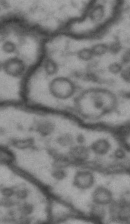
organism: Drosophila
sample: Brain